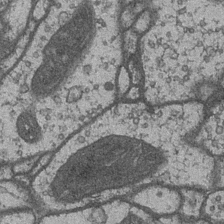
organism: Drosophila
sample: Optic medulla